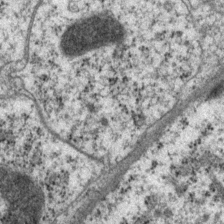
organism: P. pacificus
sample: Pharynx